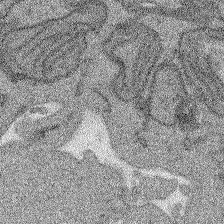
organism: Human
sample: HeLa cells